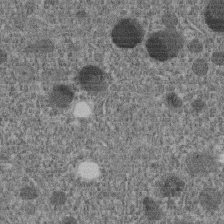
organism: C. elegans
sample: C. elegans embryo early stage